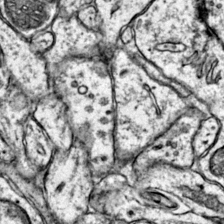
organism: Mouse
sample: Primary visual cortex